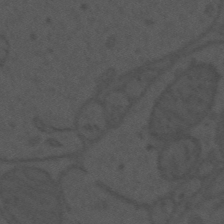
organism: Mouse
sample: Suprachiasmatic nucleus